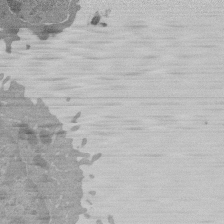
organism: Mouse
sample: Activated Pmel transgenic CD8+ T Cells